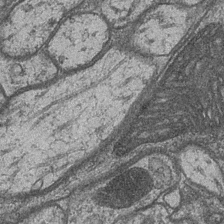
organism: Drosophila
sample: Optic medulla